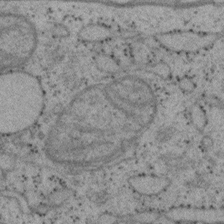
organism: Human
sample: HeLa cells